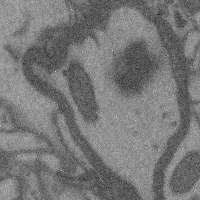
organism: Mouse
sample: Cerebral cortex